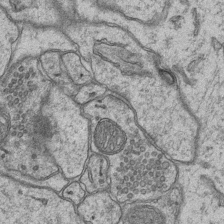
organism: Mouse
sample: CA1 Hippocampus